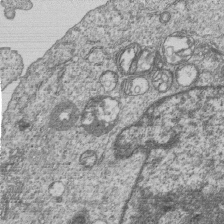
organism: Human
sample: MDA-MB-231 cells